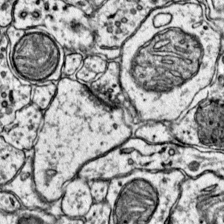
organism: Mouse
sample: Primary visual cortex